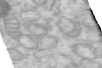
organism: Human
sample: Centriole in RPE cells